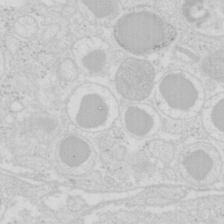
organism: Mouse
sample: Pancreas